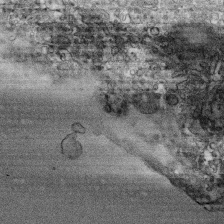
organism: Human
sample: CRL-1474